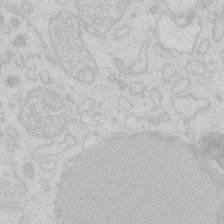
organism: Zebrafish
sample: Macrophage